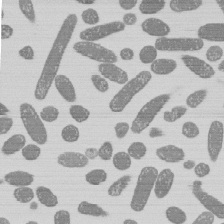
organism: E. coli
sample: Bacterial nucleoid